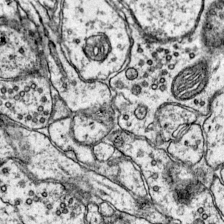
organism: Mouse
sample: Primary visual cortex